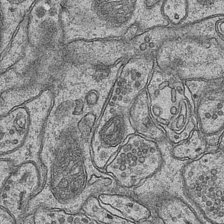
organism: Mouse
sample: CA1 Hippocampus